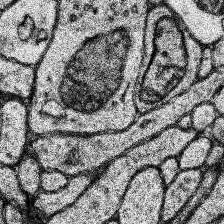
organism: Human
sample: Temporal Lobe